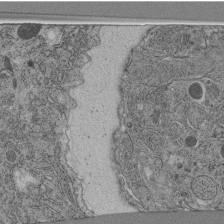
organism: C. elegans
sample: C. elegans pharynx